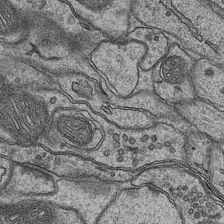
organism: Mouse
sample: CA1 Hippocampus